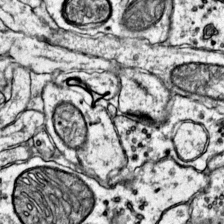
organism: Mouse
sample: Primary visual cortex